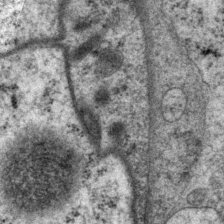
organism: P. pacificus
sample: Pharynx